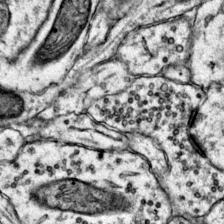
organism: Mouse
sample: Primary visual cortex